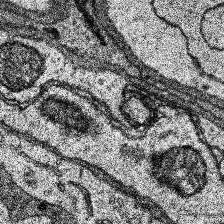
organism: Human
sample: Temporal Lobe